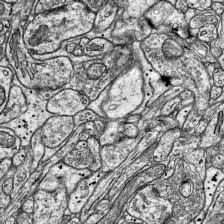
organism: Mouse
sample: Visual Cortex